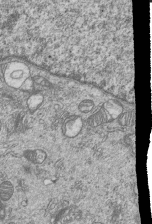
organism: Human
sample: MDA-MB-231 cells